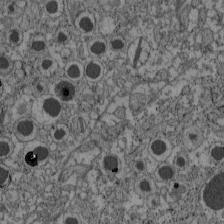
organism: C57BL Mouse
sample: Pancreatic islet